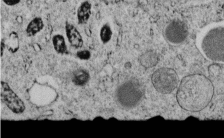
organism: C. elegans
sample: C. elegans embryo early stage